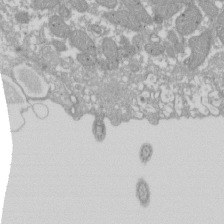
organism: Xenopus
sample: Cilia; centrioles in frog embryo cells